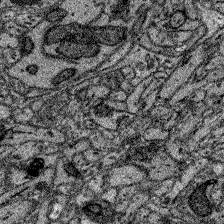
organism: Zebrafish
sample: Larval olfactory bulb